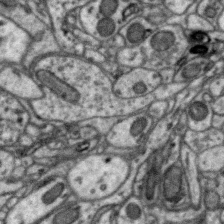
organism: Zebra finch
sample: Brain